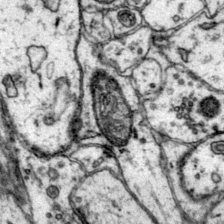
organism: Mouse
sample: Primary visual cortex